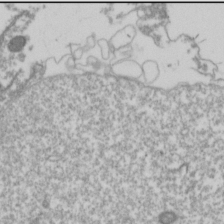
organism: Drosophila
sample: Cell division; meiosis; drosophila spermatocytes